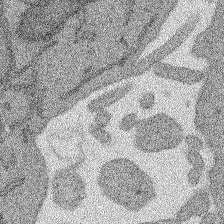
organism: Human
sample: HeLa cells